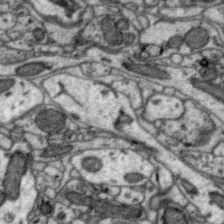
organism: Zebra finch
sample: Brain